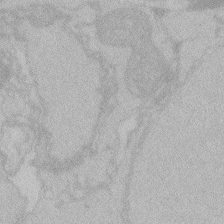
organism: Zebrafish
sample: Macrophage infected with Toxoplasma gondii